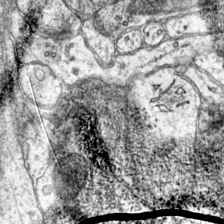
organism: Mouse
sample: Primary visual cortex